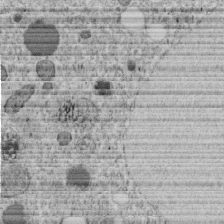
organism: C. elegans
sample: C. elegans embryo early stage